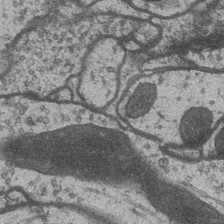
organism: Drosophila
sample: Optic medulla